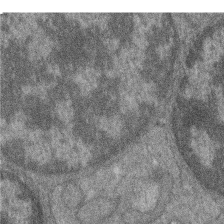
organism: Zebrafish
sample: Cilia; retinal pigment epithelium